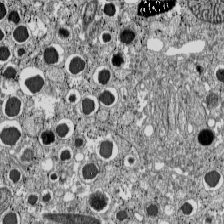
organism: C57BL Mouse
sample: Pancreatic islet